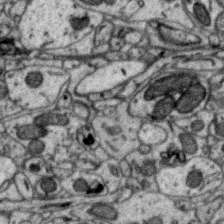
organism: Zebra finch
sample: Brain